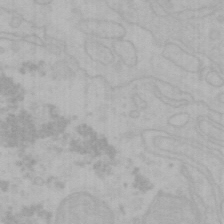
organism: Mouse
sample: Choroid plexus